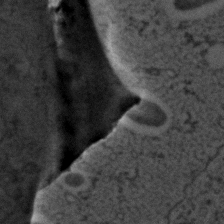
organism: C. elegans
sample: C. elegans embryo